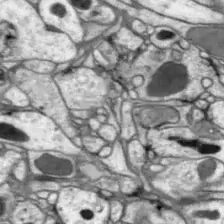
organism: Drosophila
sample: Optic lobe